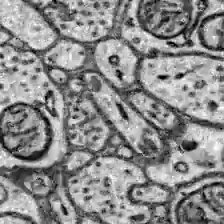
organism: Zebrafish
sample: Brain